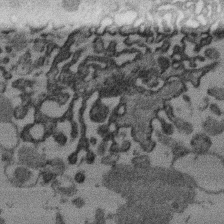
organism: Mouse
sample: Dividing mouse embryo 1 cell stage